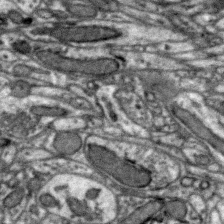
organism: Zebra finch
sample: Brain